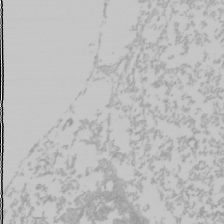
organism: Mouse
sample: Cancer cell death in ED-1 cells